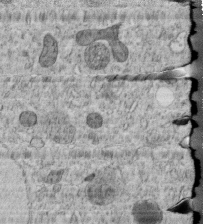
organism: C. elegans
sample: C. elegans embryo early stage